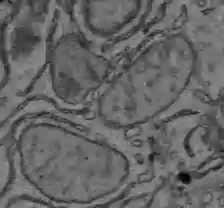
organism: C57BL Mouse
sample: Liver